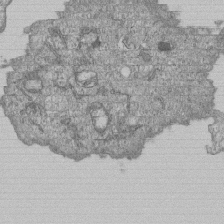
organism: Human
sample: MDA-MB-231 cells